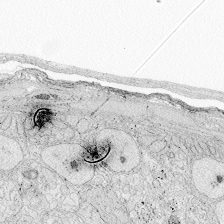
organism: Zebrafish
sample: Whole-Brain